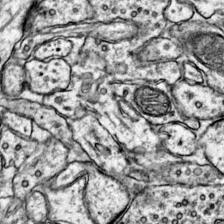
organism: Mouse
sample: Primary visual cortex